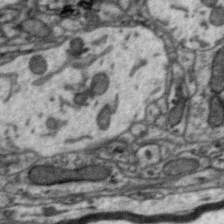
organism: Zebra finch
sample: Brain